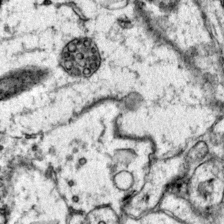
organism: Mouse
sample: Primary visual cortex